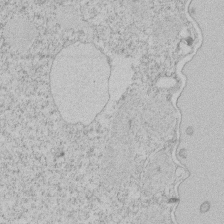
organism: Tetrahymena